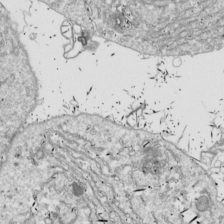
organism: Drosophila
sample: Cell division; meiosis; drosophila spermatocytes